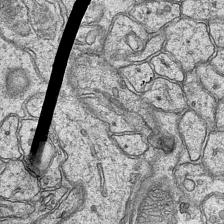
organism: Mouse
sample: CA1 Hippocampus